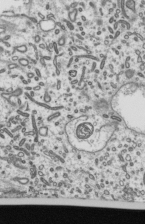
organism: Mouse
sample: Mouse epididymis efferent ductule cilia